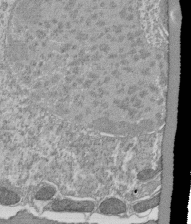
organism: Tetrahymena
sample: Cilia in tetrahymena